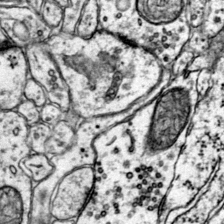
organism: Mouse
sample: Primary visual cortex